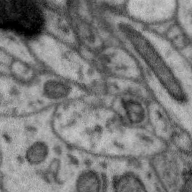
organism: Zebra finch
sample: Brain